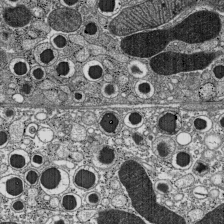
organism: C57BL Mouse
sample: Pancreatic islet